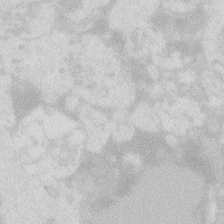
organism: Zebrafish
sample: Macrophage